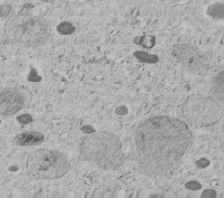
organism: C. elegans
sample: C. elegans embryo early stage